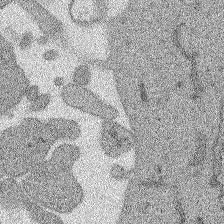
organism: Human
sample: HeLa cells